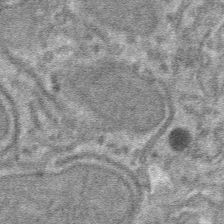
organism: Mouse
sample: Mouse hepatocytes